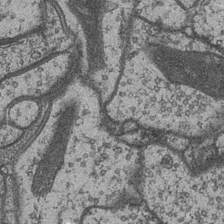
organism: Drosophila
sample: Optic medulla